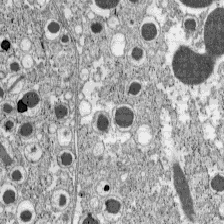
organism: C57BL Mouse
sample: Pancreatic islet